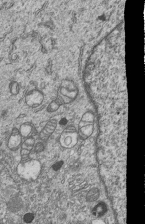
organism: Human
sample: MDA-MB-231 cells